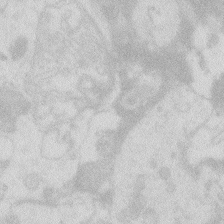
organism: Zebrafish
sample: Macrophage